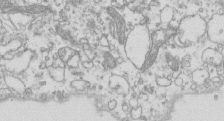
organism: Mouse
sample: Macrophages